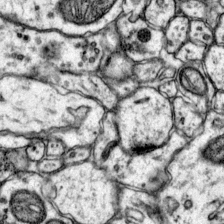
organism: Mouse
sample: Primary visual cortex